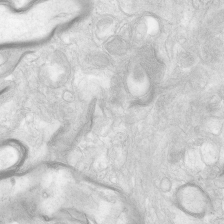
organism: Human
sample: Neocortex